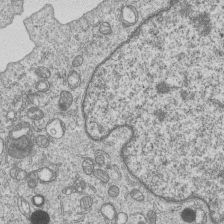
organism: Human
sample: MDA-MB-231 cells